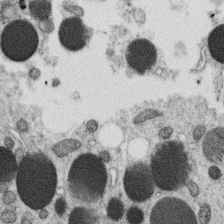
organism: C. elegans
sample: C. elegans oocyte; sperm cells